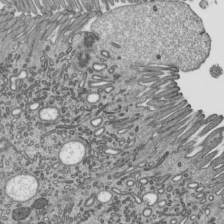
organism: Mouse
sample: Mouse epididymis efferent ductule cilia